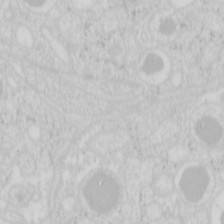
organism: Mouse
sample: Pancreas